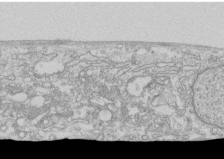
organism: Human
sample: CRL-1474